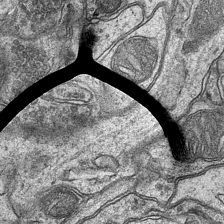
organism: Mouse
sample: CA1 Hippocampus